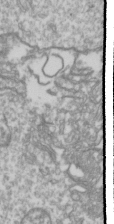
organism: Drosophila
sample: Cell division; meiosis; drosophila spermatocytes